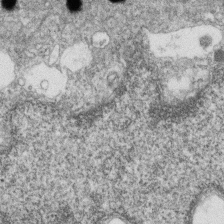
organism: Zebrafish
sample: Cilia; retinal pigment epithelium